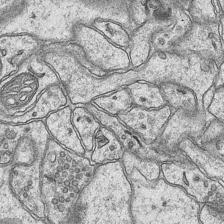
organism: Mouse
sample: CA1 Hippocampus